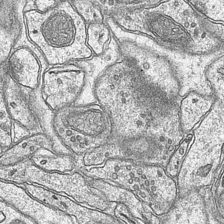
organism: Mouse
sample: CA1 Hippocampus